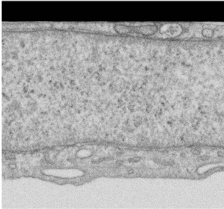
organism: Human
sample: Centriole in RPE cells